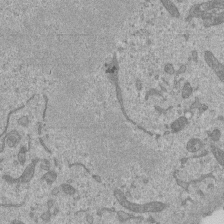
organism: Mouse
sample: ED-1 cell nuclei; centrioles